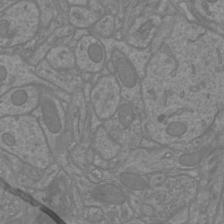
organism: Mouse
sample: Cortical neurons